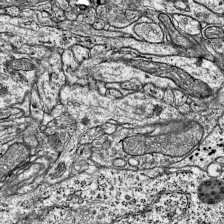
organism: Mouse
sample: Visual Cortex